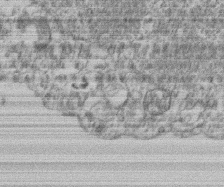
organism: Mouse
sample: T cell stromal cell synapse